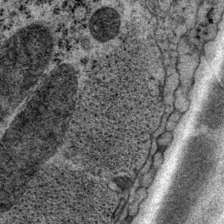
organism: P. pacificus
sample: Pharynx